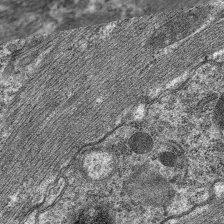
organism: C. elegans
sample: Pharynx